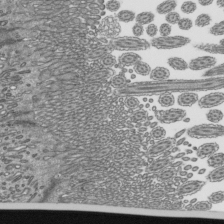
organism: Mouse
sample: Mouse epididymis efferent ductule cilia